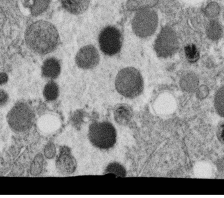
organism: C. elegans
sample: C. elegans oocyte; sperm cells